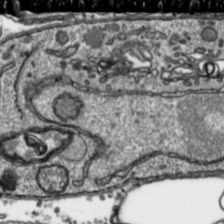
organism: Toxoplasma gondii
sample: Parasites in a vacuole inside a host cell